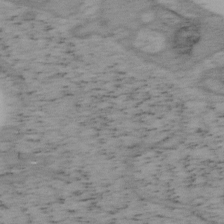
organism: Mouse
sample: OT-I killer T cells with ID8 ovarian cancer cells